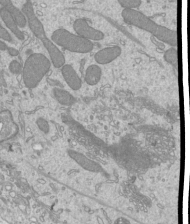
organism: Mouse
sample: Cilia; mouse epididymis